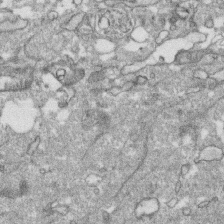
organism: Human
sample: CRL-1474